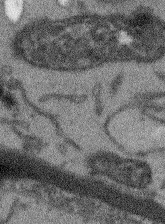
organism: Arabidopsis thaliana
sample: Root tip